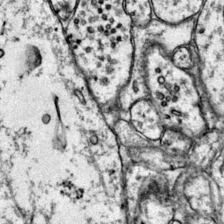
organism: Mouse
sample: Primary visual cortex